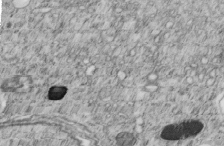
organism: C. elegans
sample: C. elegans embryo early stage